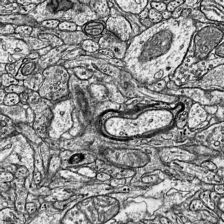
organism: Mouse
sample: Visual Cortex